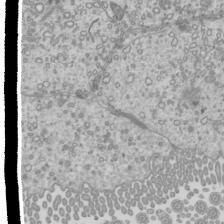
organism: Mouse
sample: Cilia; mouse epididymis